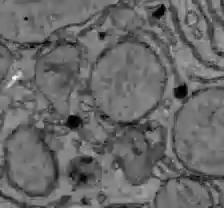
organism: C57BL Mouse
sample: Liver